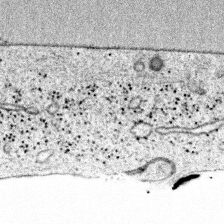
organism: Human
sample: HeLa cells